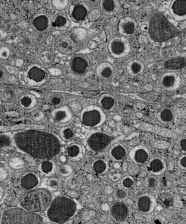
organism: C57BL Mouse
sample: Pancreatic islet